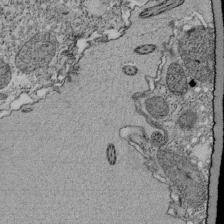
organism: Tetrahymena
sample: Cilia in tetrahymena